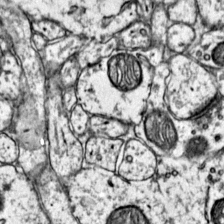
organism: Mouse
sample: Primary visual cortex